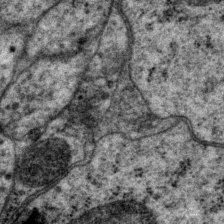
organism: P. pacificus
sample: Pharynx